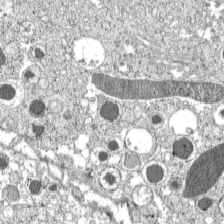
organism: C57BL Mouse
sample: Pancreatic islet